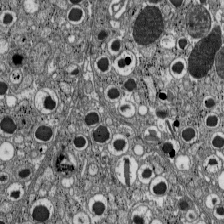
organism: C57BL Mouse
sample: Pancreatic islet